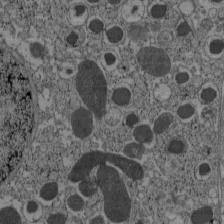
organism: C57BL Mouse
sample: Pancreatic islet